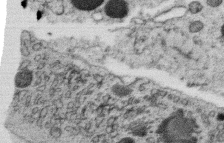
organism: C. elegans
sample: C. elegans oocyte; sperm cells